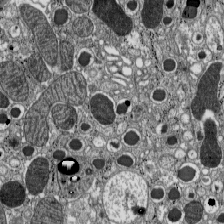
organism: C57BL Mouse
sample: Pancreatic islet